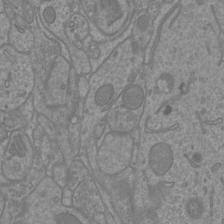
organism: Mouse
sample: Cortical neurons